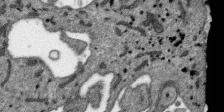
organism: Human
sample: Lung epithelial cells, uninfected (mock) control